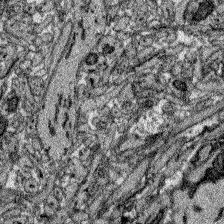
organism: Zebrafish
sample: Larval olfactory bulb